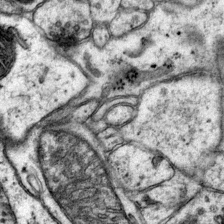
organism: Mouse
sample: Primary visual cortex